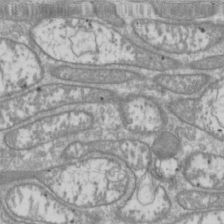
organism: Drosophila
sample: Cell division; meiosis; drosophila spermatocytes